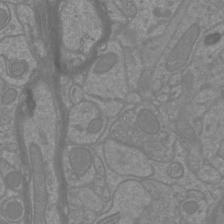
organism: Mouse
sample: Cortical neurons